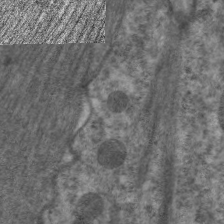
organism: C. elegans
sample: Pharynx